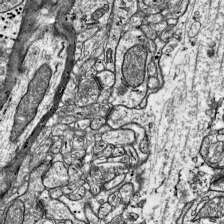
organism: Mouse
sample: Visual Cortex